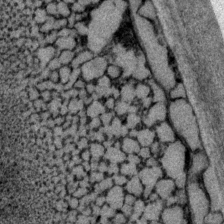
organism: P. pacificus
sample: Pharynx